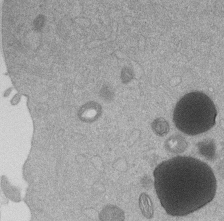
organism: Mouse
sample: Dividing mouse embryo 1 cell stage